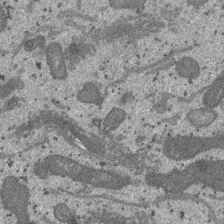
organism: Human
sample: Lung epithelial cells infected with SARS-CoV-2